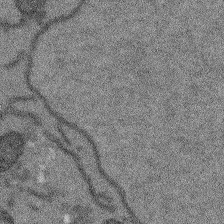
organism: Arabidopsis thaliana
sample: Root tip